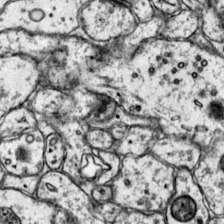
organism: Mouse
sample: Primary visual cortex